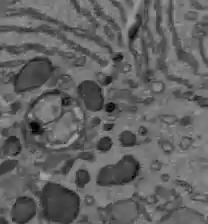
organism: C57BL Mouse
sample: Liver